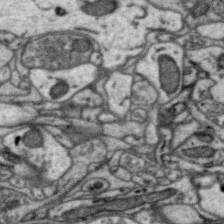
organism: Zebra finch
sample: Brain